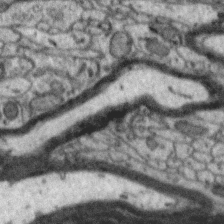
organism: Zebra finch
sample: Brain